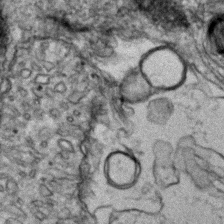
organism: Zebrafish